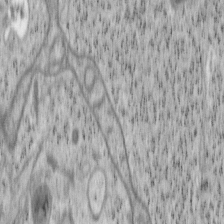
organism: Human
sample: HeLa cells